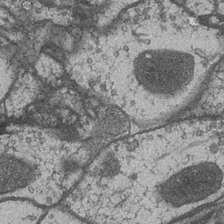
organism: Drosophila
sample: Optic medulla